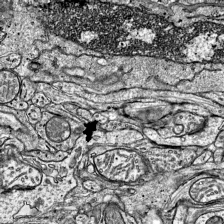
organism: Mouse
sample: Visual Cortex